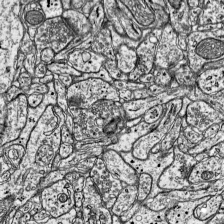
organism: Mouse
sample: Visual Cortex